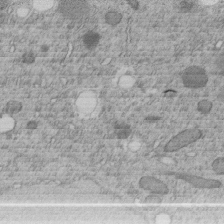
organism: C. elegans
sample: C. elegans embryo early stage